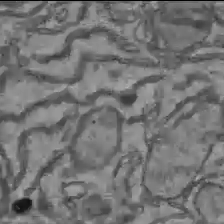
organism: C57BL Mouse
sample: Liver